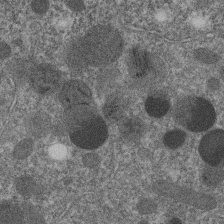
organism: C. elegans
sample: C. elegans embryo early stage